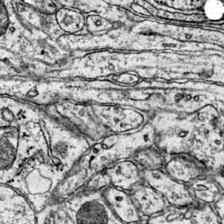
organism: Mouse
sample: Primary visual cortex